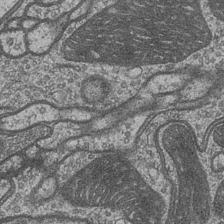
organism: Drosophila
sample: Optic medulla